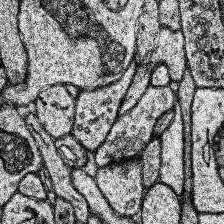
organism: Human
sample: Temporal Lobe